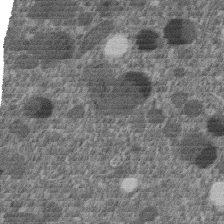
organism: C. elegans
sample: C. elegans embryo early stage